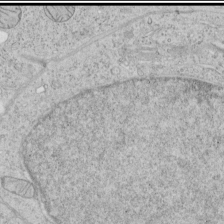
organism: Human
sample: Mitochondria in HCT116 cells